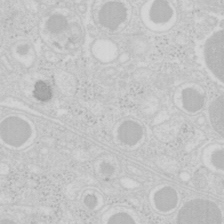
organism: Mouse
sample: Pancreas